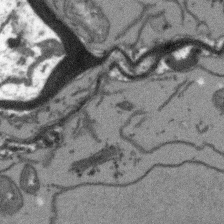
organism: Arabidopsis thaliana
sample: Root tip